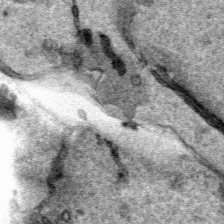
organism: Human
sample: Mitochondria in HCT116 cells